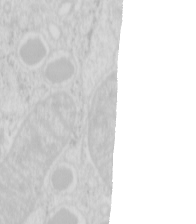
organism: Mouse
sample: Pancreas